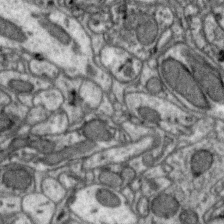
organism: Zebra finch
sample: Brain